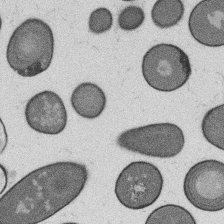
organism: B. subtilis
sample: Bacterial spore